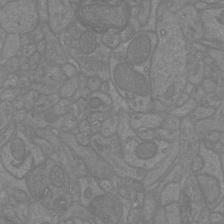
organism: Mouse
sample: Cortical neurons